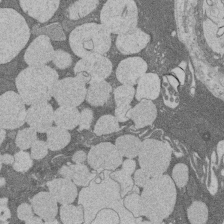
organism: Rat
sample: Salivary granule